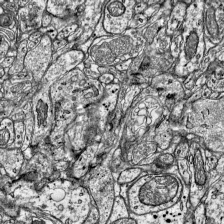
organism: Mouse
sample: Visual Cortex